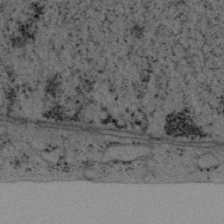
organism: Human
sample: HeLa cells